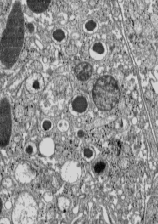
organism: C57BL Mouse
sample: Pancreatic islet